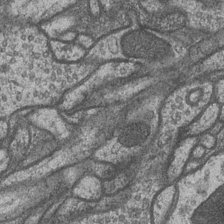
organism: Drosophila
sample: Optic medulla